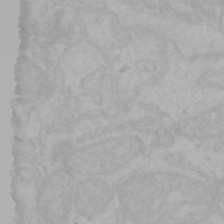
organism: Mouse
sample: Choroid plexus